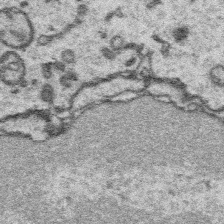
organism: Platynereis dumerilii